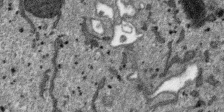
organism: Human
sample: Lung epithelial cells, uninfected (mock) control